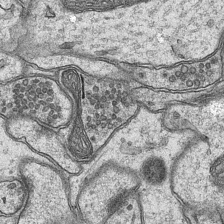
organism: Mouse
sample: CA1 Hippocampus